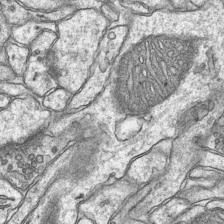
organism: Mouse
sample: CA1 Hippocampus